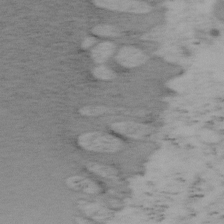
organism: Mouse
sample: OT-I killer T cells with ID8 ovarian cancer cells